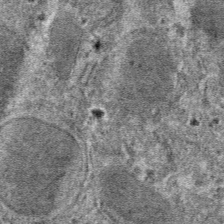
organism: Mouse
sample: Mouse hepatocytes